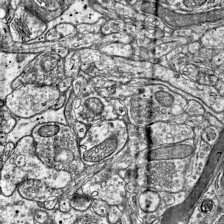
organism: Mouse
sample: Visual Cortex